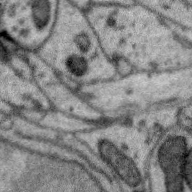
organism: Zebra finch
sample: Brain